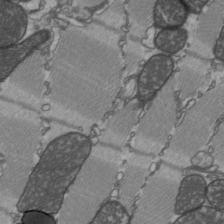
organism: C57BL Mouse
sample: Heart